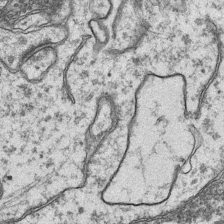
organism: Mouse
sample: CA1 Hippocampus